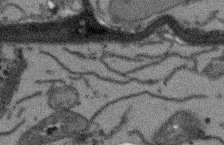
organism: Arabidopsis thaliana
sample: Root tip